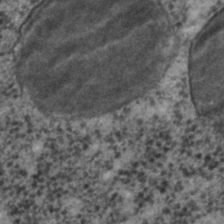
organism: C. elegans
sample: C. elegans embryo